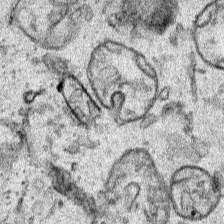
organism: Human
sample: Mitochondria in HCT116 cells